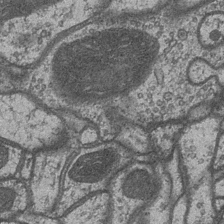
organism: Drosophila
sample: Optic medulla